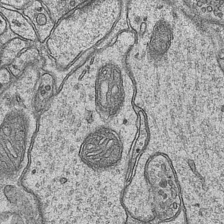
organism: Mouse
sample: CA1 Hippocampus